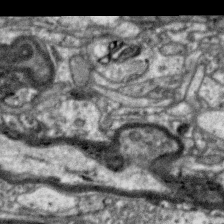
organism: Zebra finch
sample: Brain